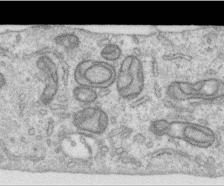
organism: Human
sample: Centriole in RPE cells